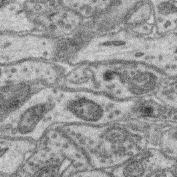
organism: Mouse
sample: Retina